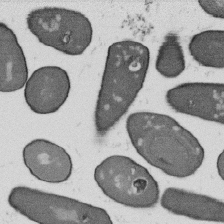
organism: B. subtilis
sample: Bacterial spore